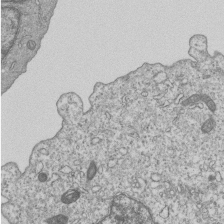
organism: Human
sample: MDA-MB-231 cells